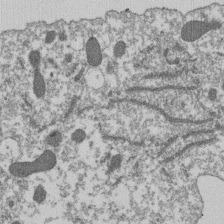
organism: Dictyostelium discoideum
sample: Dictyostelium multivesicular bodies